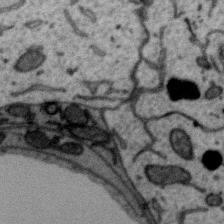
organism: Zebra finch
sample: Brain